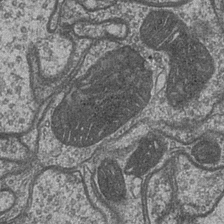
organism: Drosophila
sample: Optic medulla